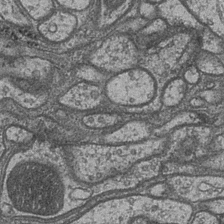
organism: Drosophila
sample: Optic medulla